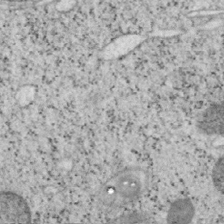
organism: Mouse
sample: OT-I killer T cells with ID8 ovarian cancer cells